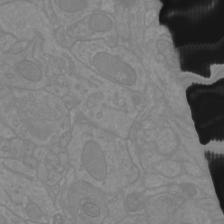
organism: Mouse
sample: Cortical neurons